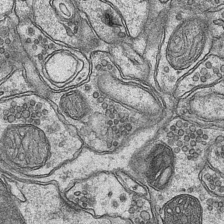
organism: Mouse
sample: CA1 Hippocampus